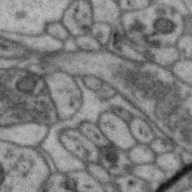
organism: Zebra finch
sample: Brain